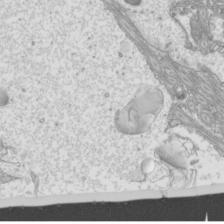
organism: Mouse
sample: Cilia; mouse epididymis